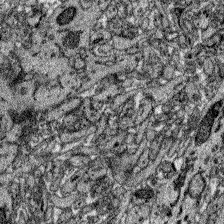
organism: Zebrafish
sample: Larval olfactory bulb